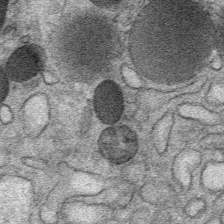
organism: Mouse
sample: Mouse Salivary gland